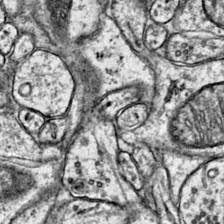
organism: Mouse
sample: Primary visual cortex